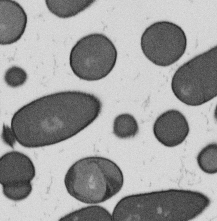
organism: B. subtilis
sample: Bacterial spore